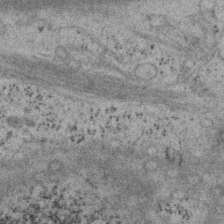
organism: Human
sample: HeLa cells